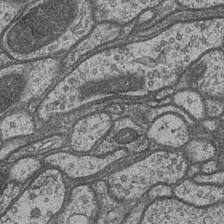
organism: Drosophila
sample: Optic medulla